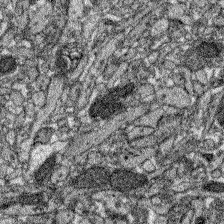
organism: Zebrafish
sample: Larval olfactory bulb